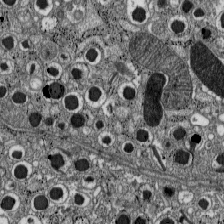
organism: C57BL Mouse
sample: Pancreatic islet